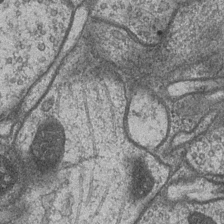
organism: Drosophila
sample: Optic medulla